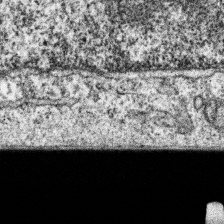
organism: Human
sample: HeLa cells